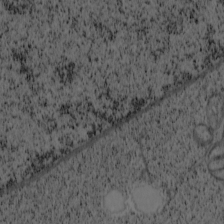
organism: African green monkey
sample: COS-7 cells